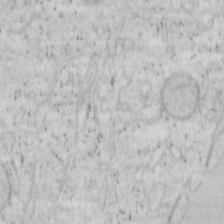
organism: Human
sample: HeLa cells